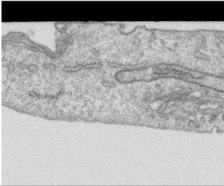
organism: Human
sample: Centriole in RPE cells